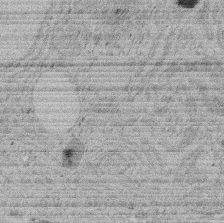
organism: Rat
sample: Salivary granule